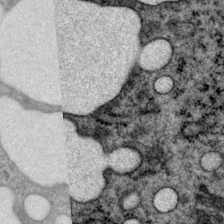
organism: P. pacificus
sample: Pharynx